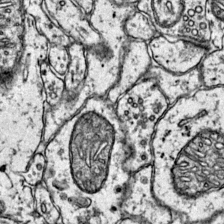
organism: Mouse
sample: Primary visual cortex